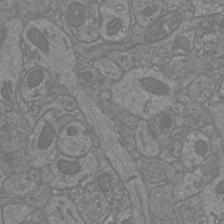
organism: Mouse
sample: Cortical neurons